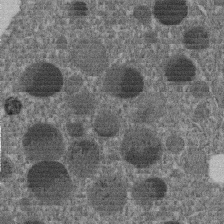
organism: C. elegans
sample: C. elegans embryo early stage